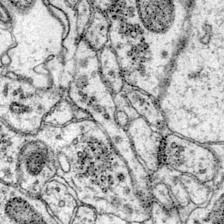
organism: Mouse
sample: Primary visual cortex